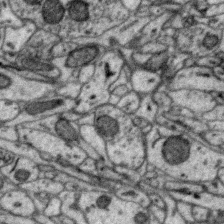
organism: Zebra finch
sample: Brain